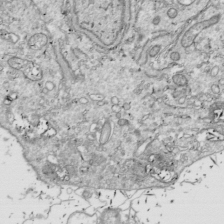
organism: Drosophila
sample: Cell division; meiosis; drosophila spermatocytes